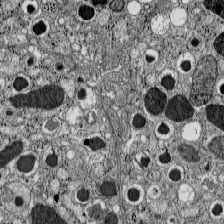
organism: C57BL Mouse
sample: Pancreatic islet